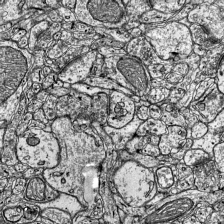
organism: Mouse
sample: Visual Cortex